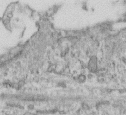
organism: Human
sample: Centriole in RPE cells